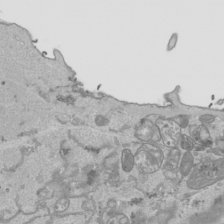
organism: Human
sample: Mitochondria in HCT116 cells